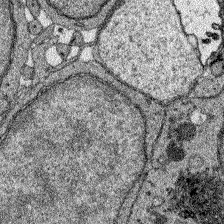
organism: Zebrafish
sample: Larval olfactory bulb